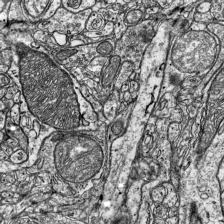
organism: Mouse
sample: Visual Cortex